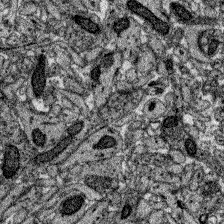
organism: Zebrafish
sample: Larval olfactory bulb